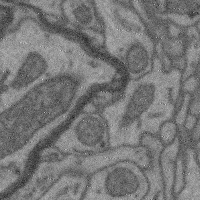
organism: Mouse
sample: Cerebral cortex